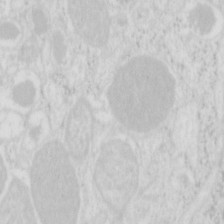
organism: Mouse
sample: Pancreas